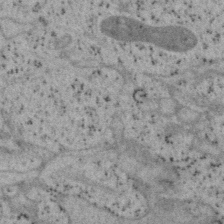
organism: Human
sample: HeLa cells